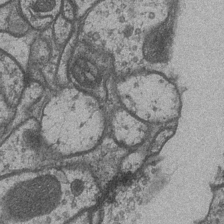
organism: Drosophila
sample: Optic medulla